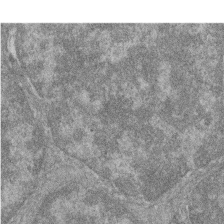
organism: Zebrafish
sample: Cilia; retinal pigment epithelium